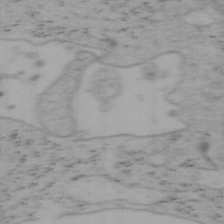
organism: Mouse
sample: OT-I killer T cells with ID8 ovarian cancer cells